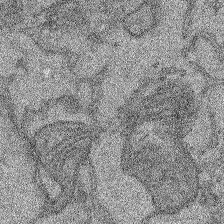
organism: Human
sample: HeLa cells